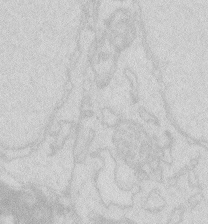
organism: Zebrafish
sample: Macrophage